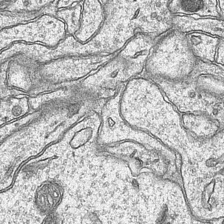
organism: Mouse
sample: CA1 Hippocampus